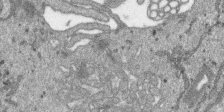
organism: Human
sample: Lung epithelial cells infected with SARS-CoV-2